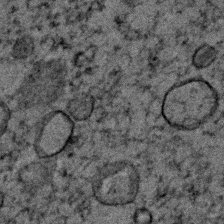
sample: Trachea